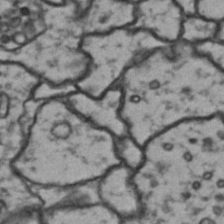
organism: Drosophila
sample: Brain